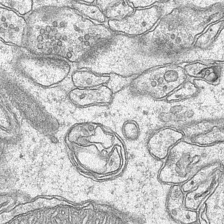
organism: Mouse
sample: CA1 Hippocampus